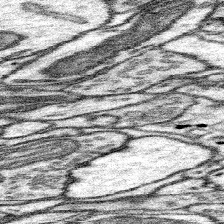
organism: Mouse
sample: Somatosensory cortex neuropil